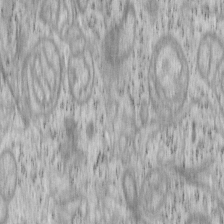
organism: Human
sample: HeLa cells